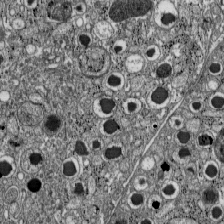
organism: C57BL Mouse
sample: Pancreatic islet